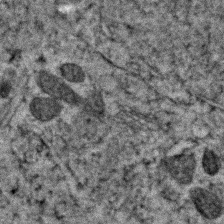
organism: Zebrafish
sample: Zebrafish embryo